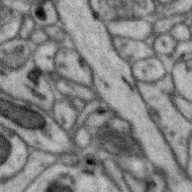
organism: Zebra finch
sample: Brain